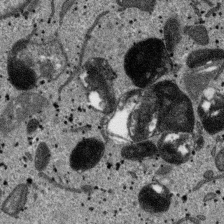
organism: Human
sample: Lung epithelial cells, uninfected (mock) control